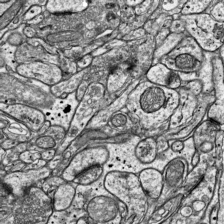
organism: Mouse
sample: Visual Cortex